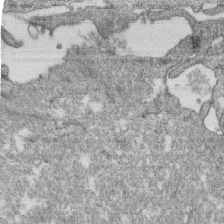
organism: African green monkey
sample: Vero E6 cells infected with SARS-CoV-2